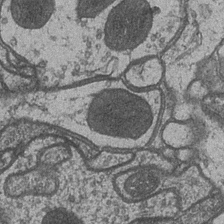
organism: Drosophila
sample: Optic medulla